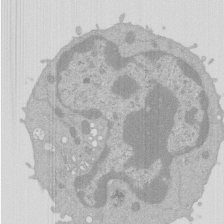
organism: Mouse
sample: Activated Pmel transgenic CD8+ T Cells